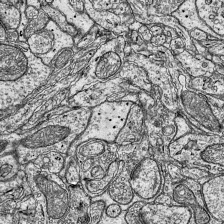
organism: Mouse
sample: Visual Cortex